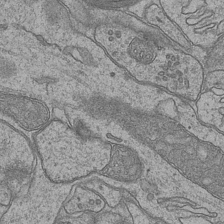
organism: Mouse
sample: CA1 Hippocampus